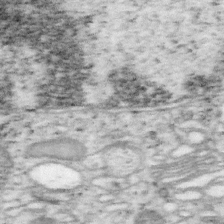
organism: Mouse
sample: OT-I killer T cells with ID8 ovarian cancer cells